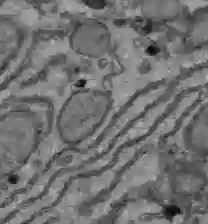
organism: C57BL Mouse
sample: Liver